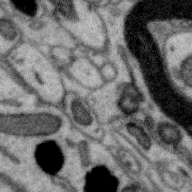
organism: Zebra finch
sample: Brain